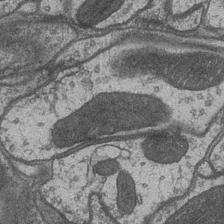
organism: Drosophila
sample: Optic medulla